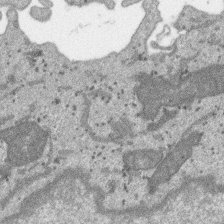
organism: Human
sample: Lung epithelial cells infected with SARS-CoV-2